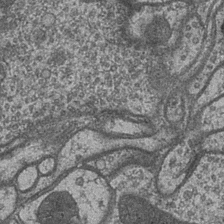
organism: Drosophila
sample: Optic medulla